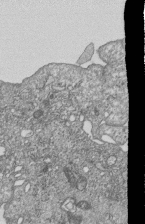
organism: Human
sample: MDA-MB-231 cells